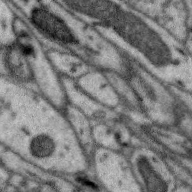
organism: Zebra finch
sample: Brain